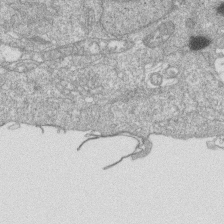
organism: Human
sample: HeLa cell HIV synapse